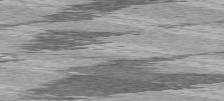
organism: C57BL Mouse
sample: Heart